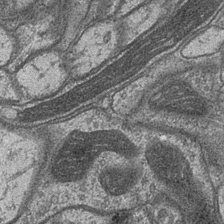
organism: Drosophila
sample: Optic medulla